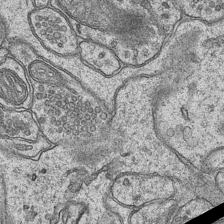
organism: Mouse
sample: CA1 Hippocampus